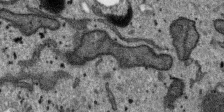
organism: Human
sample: Lung epithelial cells, uninfected (mock) control